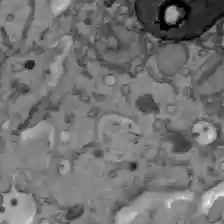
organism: C57BL Mouse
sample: Liver